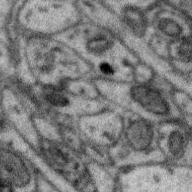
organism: Zebra finch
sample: Brain